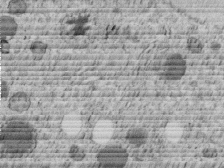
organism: C. elegans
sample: C. elegans embryo early stage